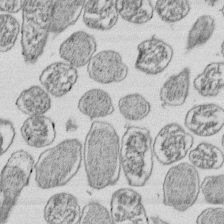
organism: E. coli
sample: Bacterial nucleoid